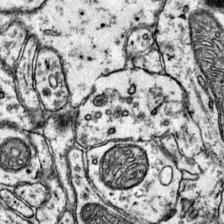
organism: Mouse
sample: Primary visual cortex